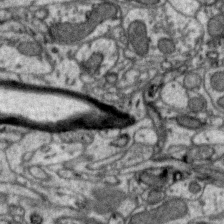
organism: Zebra finch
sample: Brain